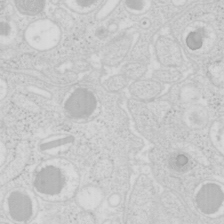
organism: Mouse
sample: Pancreas